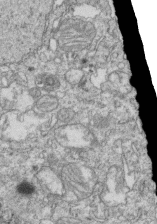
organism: Human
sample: HeLa cell HIV synapse